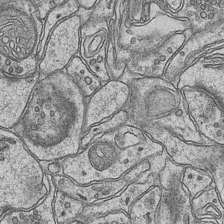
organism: Mouse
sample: CA1 Hippocampus